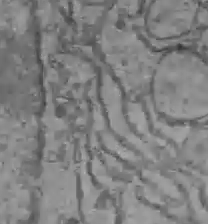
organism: C57BL Mouse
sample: Liver